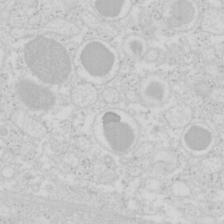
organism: Mouse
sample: Pancreas